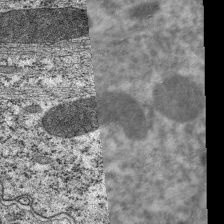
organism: C. elegans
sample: Pharynx